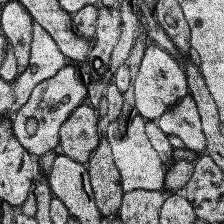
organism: Human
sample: Temporal Lobe